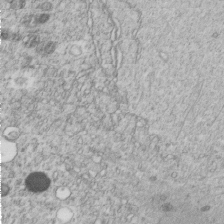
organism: C. elegans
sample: C. elegans embryo early stage